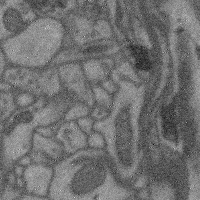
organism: Mouse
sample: Cerebral cortex